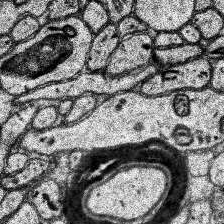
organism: Human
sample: Temporal Lobe